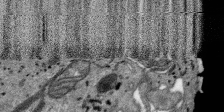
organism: Human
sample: Lung epithelial cells, uninfected (mock) control